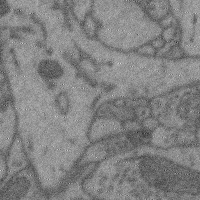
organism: Mouse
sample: Cerebral cortex